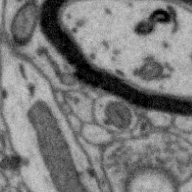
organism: Zebra finch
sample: Brain